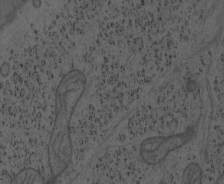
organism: Mouse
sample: OT-I killer T cells with ID8 ovarian cancer cells